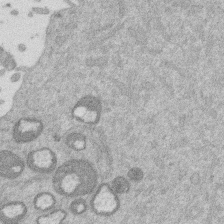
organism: Mouse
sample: Dividing mouse embryo 1 cell stage